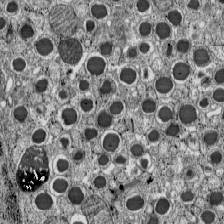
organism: C57BL Mouse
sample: Pancreatic islet